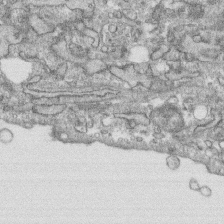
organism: Human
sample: CRL-1474